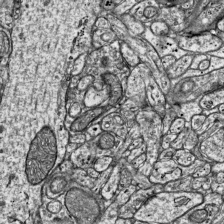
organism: Mouse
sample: Visual Cortex